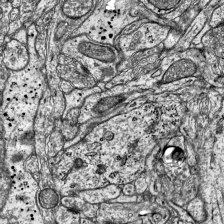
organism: Mouse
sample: Visual Cortex